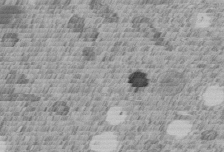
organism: C. elegans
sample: C. elegans embryo early stage